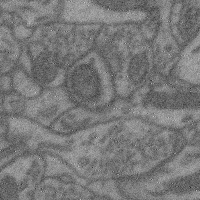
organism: Mouse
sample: Cerebral cortex